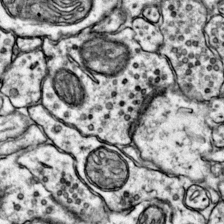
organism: Mouse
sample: Primary visual cortex